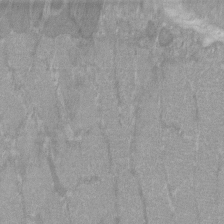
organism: C57BL Mouse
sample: Tibialis anterior muscle cell